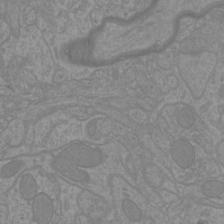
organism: Mouse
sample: Cortical neurons